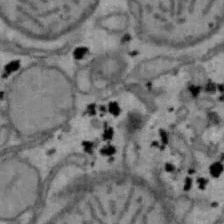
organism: Mouse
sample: Liver